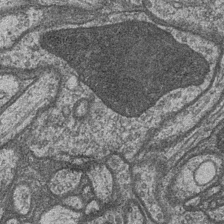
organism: Drosophila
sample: Optic medulla